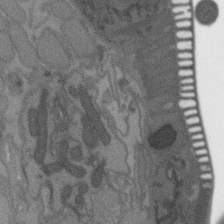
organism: C. elegans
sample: AFD neurons C. elegans